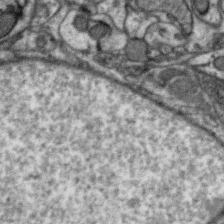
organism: Zebra finch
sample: Brain